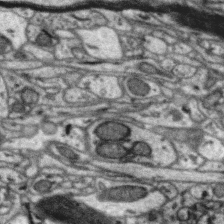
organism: Zebra finch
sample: Brain